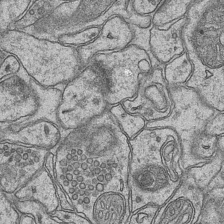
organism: Mouse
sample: CA1 Hippocampus